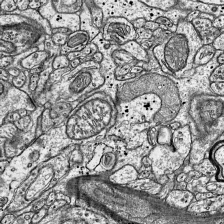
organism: Mouse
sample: Visual Cortex